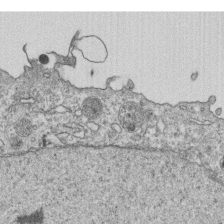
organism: Human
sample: HeLa cell HIV synapse